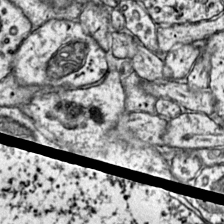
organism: Mouse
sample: Primary visual cortex